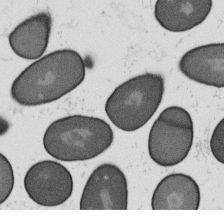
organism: B. subtilis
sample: Bacterial spore